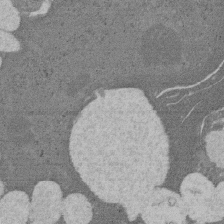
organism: Rat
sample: Salivary granule